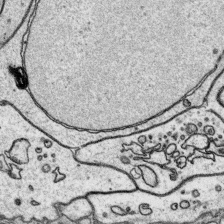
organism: Platynereis dumerilii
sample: Parapodia